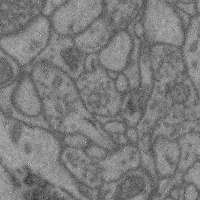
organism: Mouse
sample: Cerebral cortex